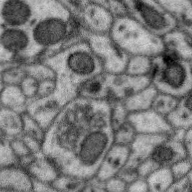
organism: Zebra finch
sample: Brain